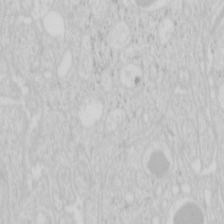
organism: Mouse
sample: Pancreas